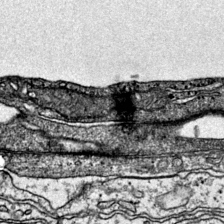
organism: Mouse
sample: Primary visual cortex